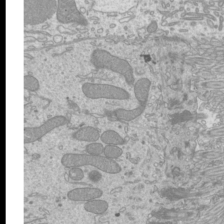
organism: Mouse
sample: Cilia; mouse epididymis